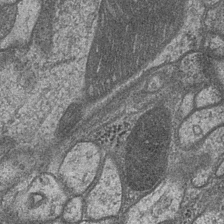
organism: Drosophila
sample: Optic medulla